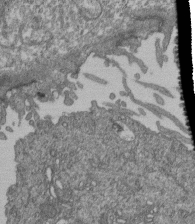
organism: Human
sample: Retinal organoid Rod and Cone cells